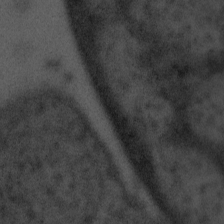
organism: Tuwongella immobilis